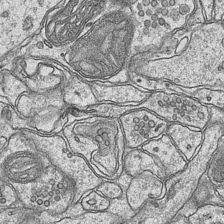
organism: Mouse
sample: CA1 Hippocampus